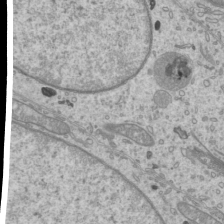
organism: Mouse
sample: Cilia; mouse epididymis